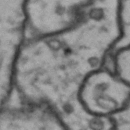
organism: Drosophila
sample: Brain